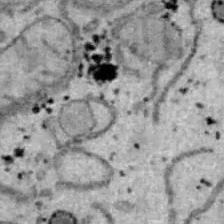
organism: Mouse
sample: Liver from an obese (ob/ob) mouse